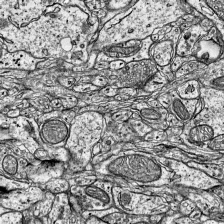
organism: Mouse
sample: Visual Cortex